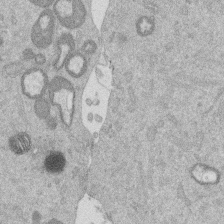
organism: Mouse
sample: Dividing mouse embryo 1 cell stage